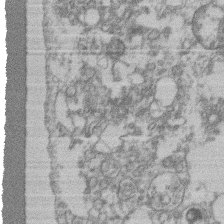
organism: Mouse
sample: T cell stromal cell synapse